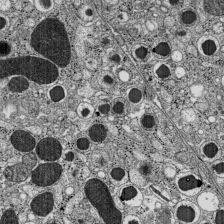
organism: C57BL Mouse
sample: Pancreatic islet